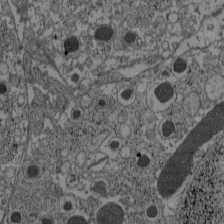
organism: C57BL Mouse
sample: Pancreatic islet